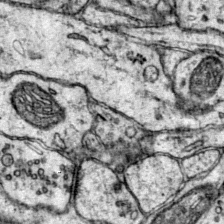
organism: Mouse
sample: Primary visual cortex